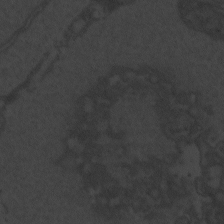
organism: Zebrafish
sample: Macrophage infected with Toxoplasma gondii